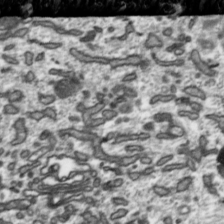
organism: Toxoplasma gondii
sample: Parasites in a vacuole inside a host cell